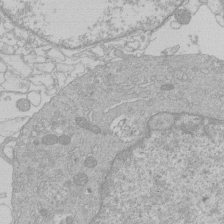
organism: Human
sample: Macrophage cells